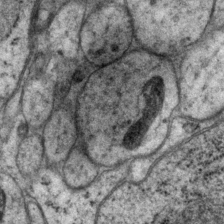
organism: P. pacificus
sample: Pharynx